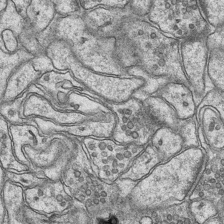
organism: Mouse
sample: CA1 Hippocampus